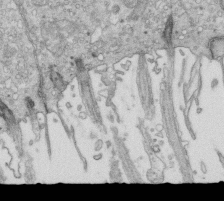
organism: Mouse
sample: Multiciliated cells